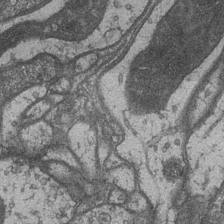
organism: Drosophila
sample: Optic medulla